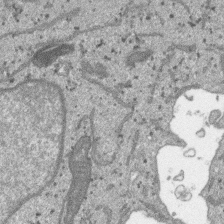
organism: Human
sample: Lung epithelial cells infected with SARS-CoV-2